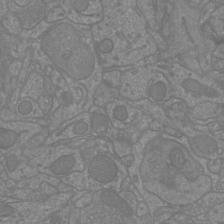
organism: Mouse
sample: Cortical neurons